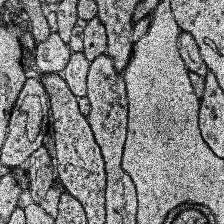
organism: Human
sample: Temporal Lobe